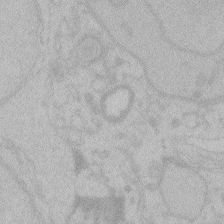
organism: Zebrafish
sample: Macrophage infected with Toxoplasma gondii